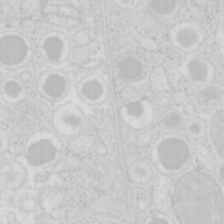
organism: Mouse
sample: Pancreas